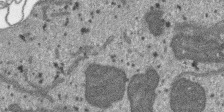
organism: Human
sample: Lung epithelial cells infected with SARS-CoV-2